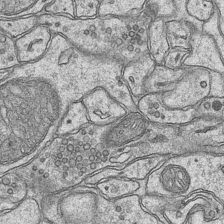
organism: Mouse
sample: CA1 Hippocampus